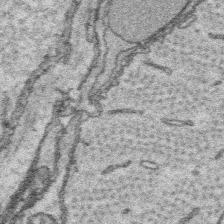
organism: Platynereis dumerilii